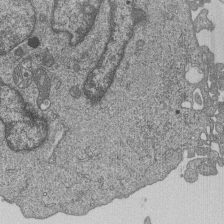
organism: Human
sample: MDA-MB-231 cells